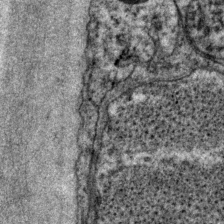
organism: P. pacificus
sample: Pharynx